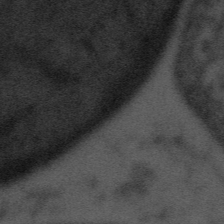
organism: Tuwongella immobilis